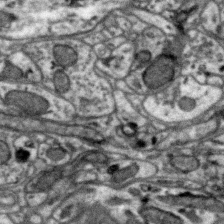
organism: Zebra finch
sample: Brain